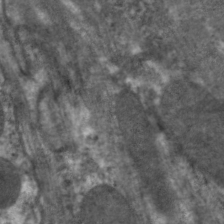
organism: C. elegans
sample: Pharynx